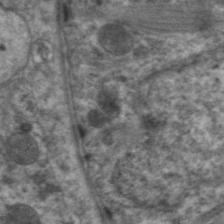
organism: C. elegans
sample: Pharynx